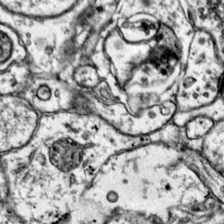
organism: Mouse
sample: Primary visual cortex